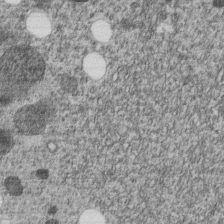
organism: C. elegans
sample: C. elegans embryo early stage